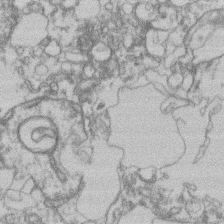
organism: Mouse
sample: T cell stromal cell synapse